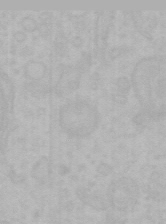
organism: Mouse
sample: Choroid plexus